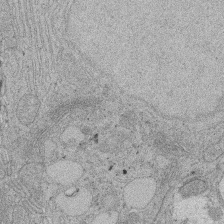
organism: Rat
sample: Salivary granule